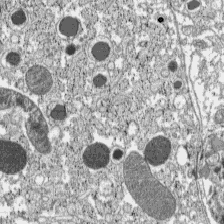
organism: C57BL Mouse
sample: Pancreatic islet